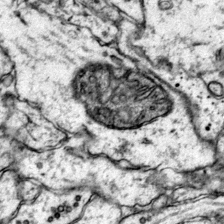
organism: Mouse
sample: Primary visual cortex